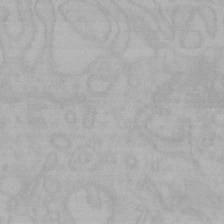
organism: Mouse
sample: Choroid plexus